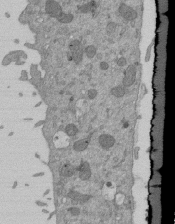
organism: Mouse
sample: ED-1 cell nuclei; centrioles